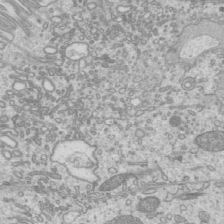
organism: Mouse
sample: Cilia; mouse epididymis